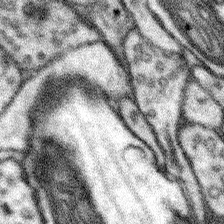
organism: Mouse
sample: Somatosensory cortex neuropil